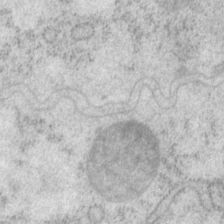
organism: P. pacificus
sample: Pharynx